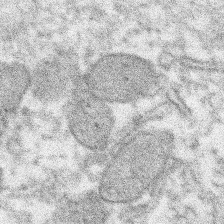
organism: Xenopus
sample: Cilia; centrioles in frog embryo cells